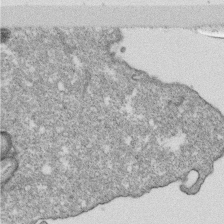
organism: African green monkey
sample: Vero E6 cells infected with SARS-CoV-2